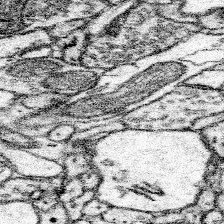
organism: Mouse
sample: Somatosensory cortex neuropil